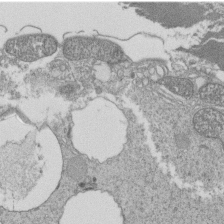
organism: Tetrahymena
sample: Cilia in tetrahymena